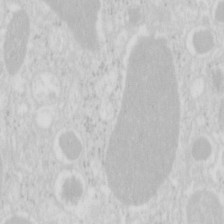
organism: Mouse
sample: Pancreas